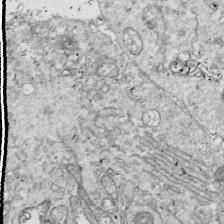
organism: Drosophila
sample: Cell division; meiosis; drosophila spermatocytes